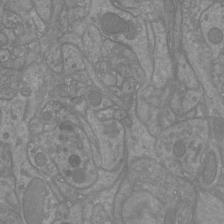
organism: Mouse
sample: Cortical neurons